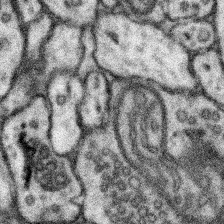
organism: Mouse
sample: Somatosensory cortex neuropil